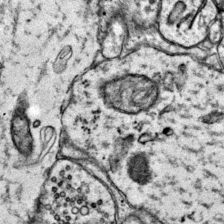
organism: Mouse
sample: Primary visual cortex